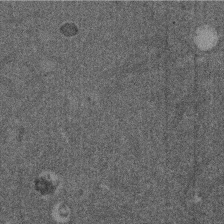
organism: Mouse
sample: Dividing mouse embryo 1 cell stage